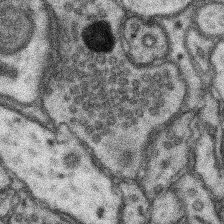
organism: Mouse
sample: Somatosensory cortex neuropil